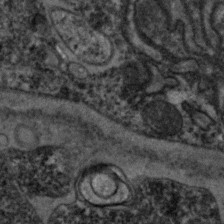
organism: Zebrafish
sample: Zebrafish embryo